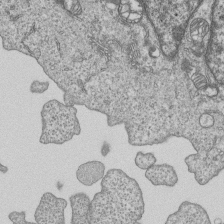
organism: Human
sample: MDA-MB-231 cells